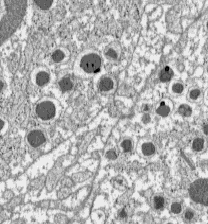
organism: C57BL Mouse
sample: Pancreatic islet